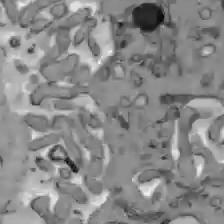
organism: C57BL Mouse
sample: Liver